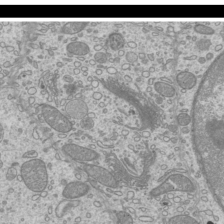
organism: Mouse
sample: Cilia; mouse epididymis